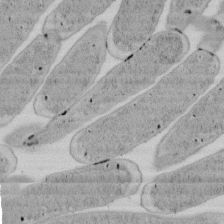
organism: E. coli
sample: Bacterial nucleoid